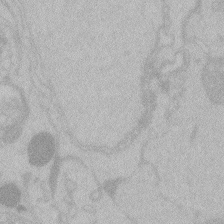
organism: Zebrafish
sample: Macrophage infected with Toxoplasma gondii